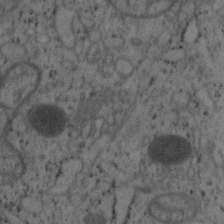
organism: Human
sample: HeLa cells